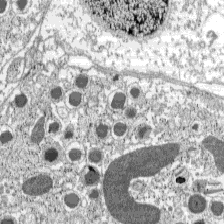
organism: C57BL Mouse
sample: Pancreatic islet